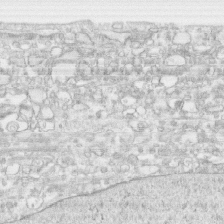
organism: Human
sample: CRL-1474